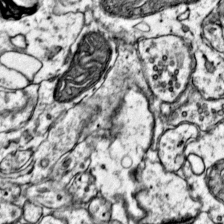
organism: Mouse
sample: Primary visual cortex